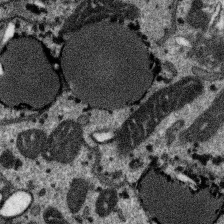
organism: Human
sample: Lung epithelial cells infected with SARS-CoV-2